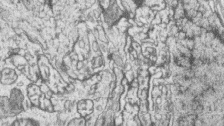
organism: Zebrafish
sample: synaptic ribbons in rod cells and cone cells